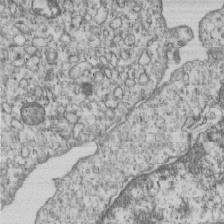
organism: Human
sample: MDA-MB-231 cells